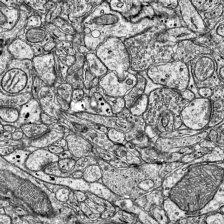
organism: Mouse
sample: Visual Cortex